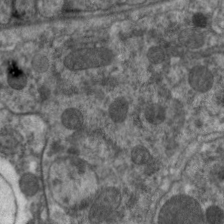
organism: C. elegans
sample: Pharynx